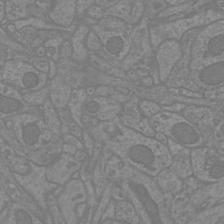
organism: Mouse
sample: Cortical neurons